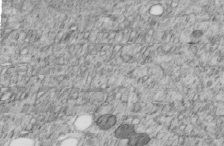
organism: C. elegans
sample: C. elegans embryo early stage